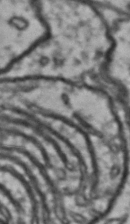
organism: Drosophila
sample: Brain